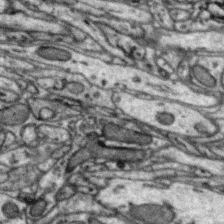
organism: Zebra finch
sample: Brain